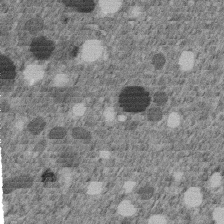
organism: C. elegans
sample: C. elegans embryo early stage